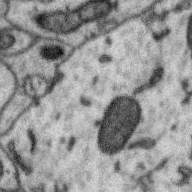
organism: Zebra finch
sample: Brain